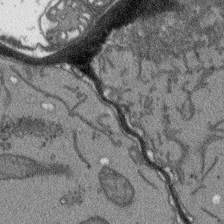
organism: Arabidopsis thaliana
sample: Root tip